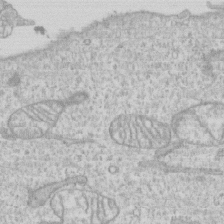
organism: Human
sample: CRL-1474